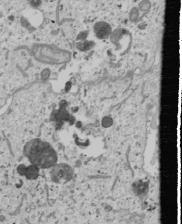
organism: Human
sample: Mitochondria in U2OS cells